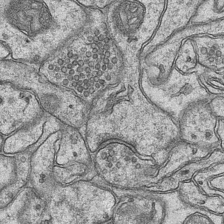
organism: Mouse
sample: CA1 Hippocampus